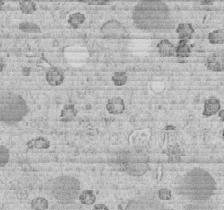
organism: C. elegans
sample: C. elegans embryo early stage